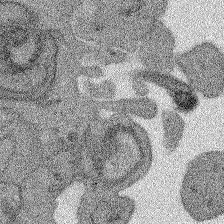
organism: Human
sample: HeLa cells